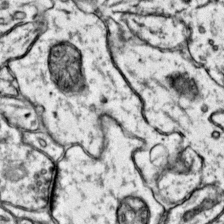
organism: Mouse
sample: Primary visual cortex